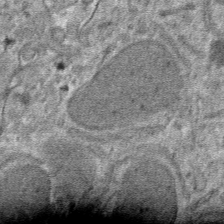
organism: Mouse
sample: Mouse hepatocytes